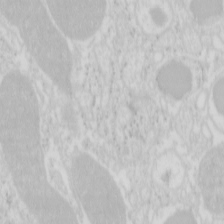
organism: Mouse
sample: Pancreas